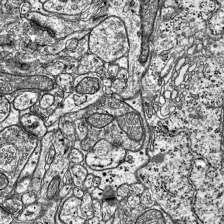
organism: Mouse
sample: Visual Cortex